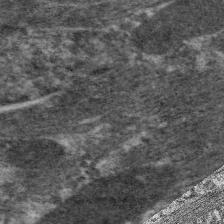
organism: C. elegans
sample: Pharynx